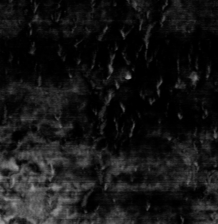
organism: Toxoplasma gondii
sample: Parasites in a vacuole inside a host cell